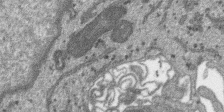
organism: Human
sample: Lung epithelial cells infected with SARS-CoV-2